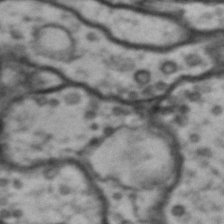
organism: Drosophila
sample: Brain